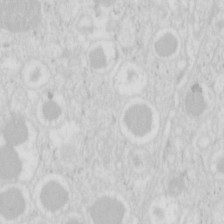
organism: Mouse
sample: Pancreas